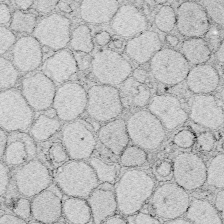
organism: Zebrafish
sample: Whole-Brain